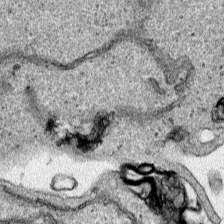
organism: Human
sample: Mitochondria in HCT116 cells